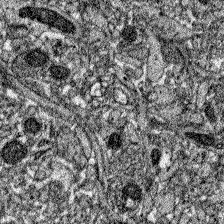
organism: Zebrafish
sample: Larval olfactory bulb